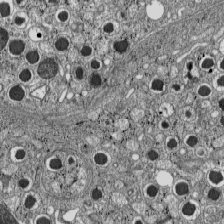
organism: C57BL Mouse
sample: Pancreatic islet